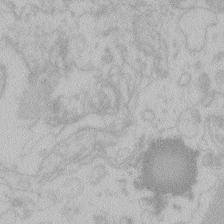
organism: Zebrafish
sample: Macrophage infected with Toxoplasma gondii